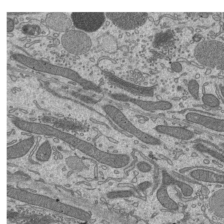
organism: Mouse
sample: Mouse epididymis efferent ductule cilia